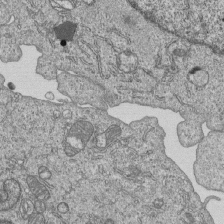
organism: Human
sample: MDA-MB-231 cells